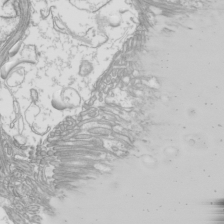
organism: Mouse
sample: Cilia; mouse epididymis